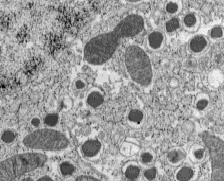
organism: C57BL Mouse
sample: Pancreatic islet